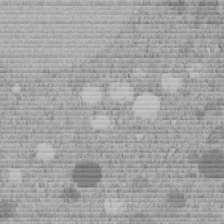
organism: C. elegans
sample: C. elegans embryo early stage